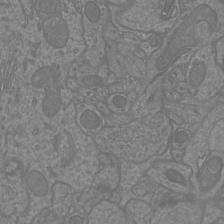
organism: Mouse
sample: Cortical neurons